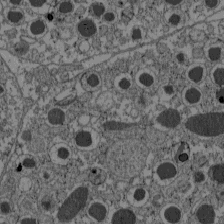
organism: C57BL Mouse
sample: Pancreatic islet